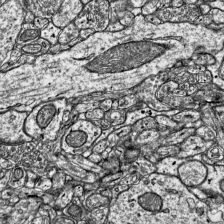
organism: Mouse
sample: Visual Cortex